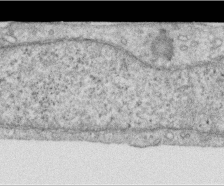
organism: Human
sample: Centriole in RPE cells